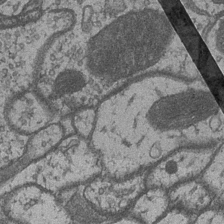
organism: Drosophila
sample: Optic medulla